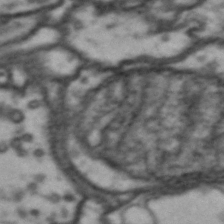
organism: Drosophila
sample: Brain